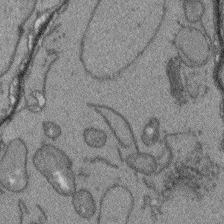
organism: Arabidopsis thaliana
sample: Root tip